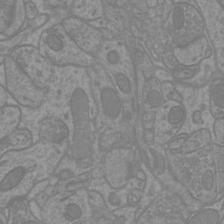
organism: Mouse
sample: Cortical neurons